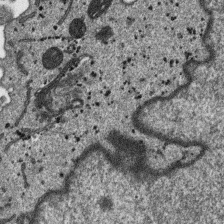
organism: Human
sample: Lung epithelial cells infected with SARS-CoV-2